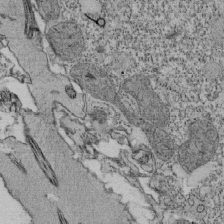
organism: Tetrahymena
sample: Cilia in tetrahymena